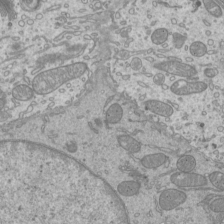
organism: Mouse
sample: Cilia; mouse epididymis